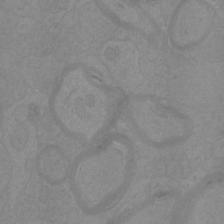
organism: Mouse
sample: Cortical neurons